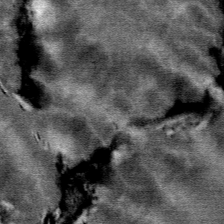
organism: Mouse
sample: Mouse Salivary gland